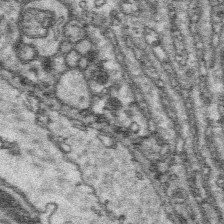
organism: Platynereis dumerilii